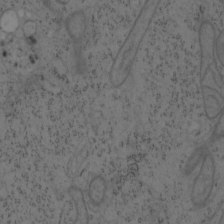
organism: Mouse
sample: OT-I killer T cells with ID8 ovarian cancer cells